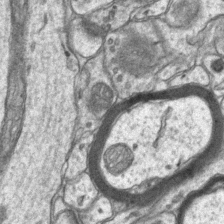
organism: Mouse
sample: CA1 Hippocampus